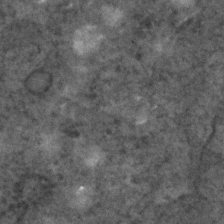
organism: C. elegans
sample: C. elegans embryo